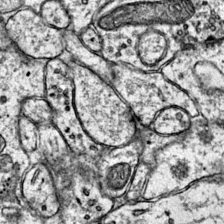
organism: Mouse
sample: Primary visual cortex